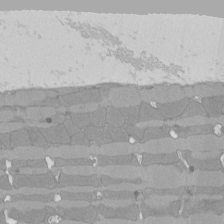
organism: Rat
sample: Left ventricle